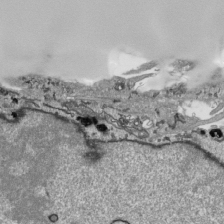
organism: Human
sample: Mitochondria in HCT116 cells